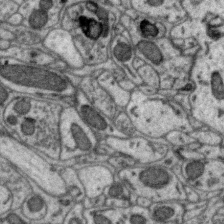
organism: Zebra finch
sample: Brain